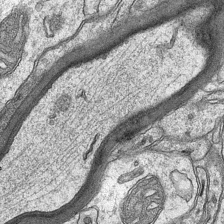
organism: Mouse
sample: CA1 Hippocampus